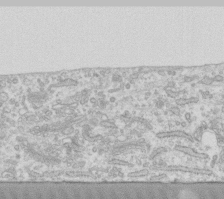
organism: Human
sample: Fibroblast cells